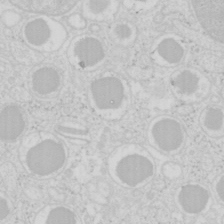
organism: Mouse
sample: Pancreas